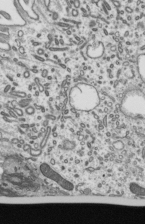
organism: Mouse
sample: Mouse epididymis efferent ductule cilia